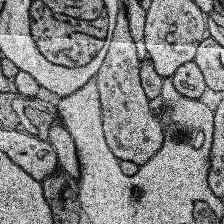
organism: Human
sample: Temporal Lobe